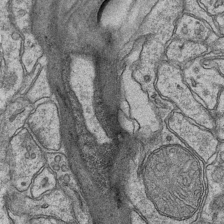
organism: Mouse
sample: CA1 Hippocampus